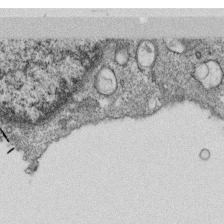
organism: African green monkey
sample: Vero E6 cells infected with SARS-CoV-2